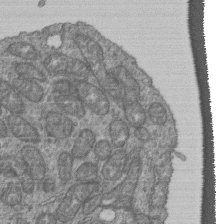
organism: Human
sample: Retinal organoid Rod and Cone cells